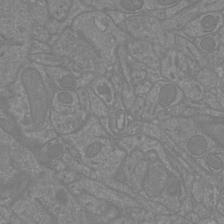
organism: Mouse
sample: Cortical neurons